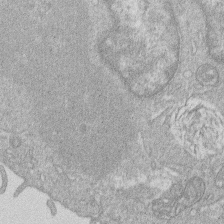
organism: Human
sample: Macrophage cells